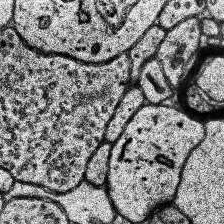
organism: Human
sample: Temporal Lobe